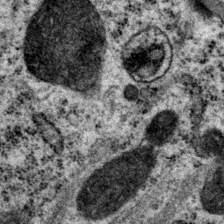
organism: P. pacificus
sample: Pharynx